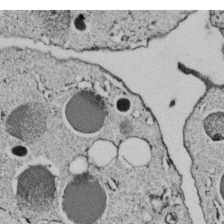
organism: C. elegans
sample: C. elegans embryo early stage